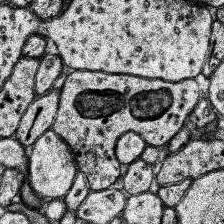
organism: Human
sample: Temporal Lobe